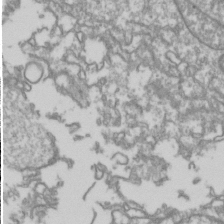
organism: Drosophila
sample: Cell division; meiosis; drosophila spermatocytes